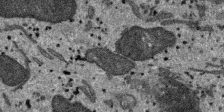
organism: Human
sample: Lung epithelial cells, uninfected (mock) control